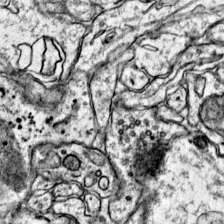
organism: Mouse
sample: Primary visual cortex